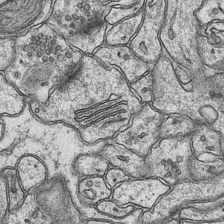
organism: Mouse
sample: CA1 Hippocampus